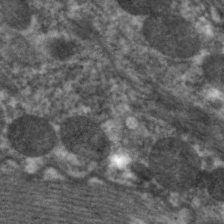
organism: C. elegans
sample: Pharynx